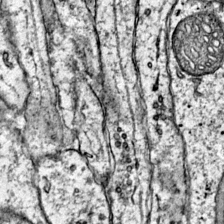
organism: Mouse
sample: Primary visual cortex